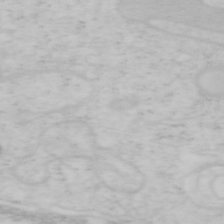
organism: Mouse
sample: OT-I killer T cells with ID8 ovarian cancer cells